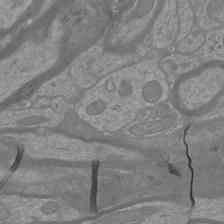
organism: Mouse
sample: Cortical neurons